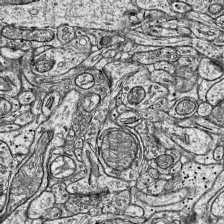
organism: Mouse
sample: Visual Cortex